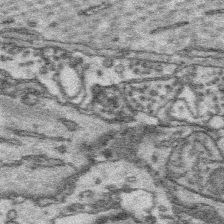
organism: Platynereis dumerilii